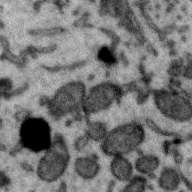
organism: Zebra finch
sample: Brain